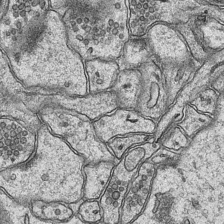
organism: Mouse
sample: CA1 Hippocampus